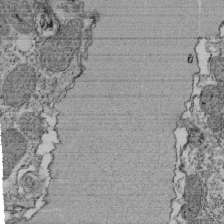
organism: Tetrahymena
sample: Cilia in tetrahymena